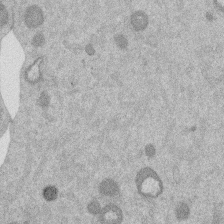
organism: Mouse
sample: Dividing mouse embryo 1 cell stage